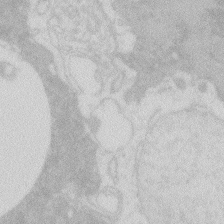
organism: Zebrafish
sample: Macrophage